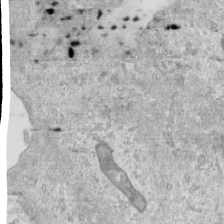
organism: Human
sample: Centriole in RPE cells